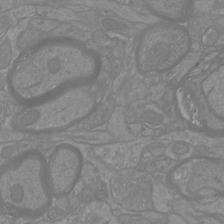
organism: Mouse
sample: Cortical neurons